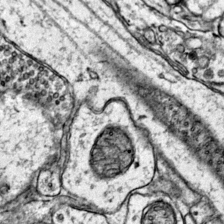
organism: Mouse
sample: Primary visual cortex